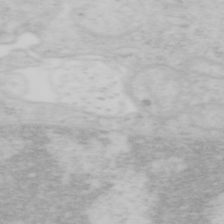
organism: Mouse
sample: OT-I killer T cells with ID8 ovarian cancer cells